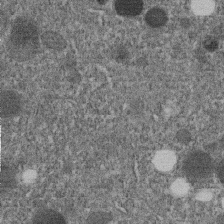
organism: C. elegans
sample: C. elegans embryo early stage